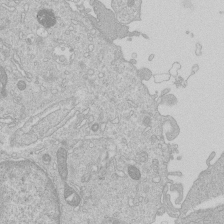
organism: Human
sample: Macrophage cells